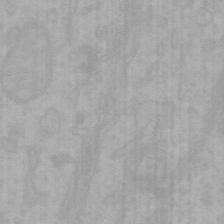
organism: Mouse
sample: Choroid plexus